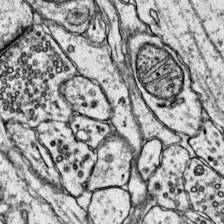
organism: Mouse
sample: Primary visual cortex